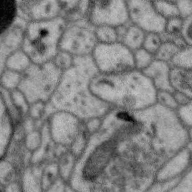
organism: Zebra finch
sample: Brain